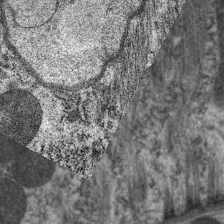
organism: C. elegans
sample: Pharynx